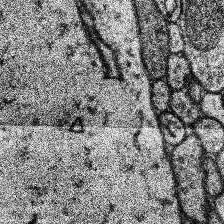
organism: Human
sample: Temporal Lobe